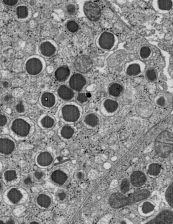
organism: C57BL Mouse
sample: Pancreatic islet